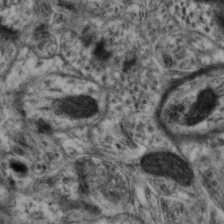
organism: Mouse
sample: Neocortex